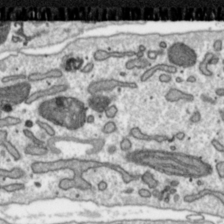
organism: Toxoplasma gondii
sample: Parasites in a vacuole inside a host cell